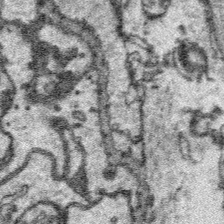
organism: Platynereis dumerilii